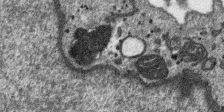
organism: Human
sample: Lung epithelial cells infected with SARS-CoV-2